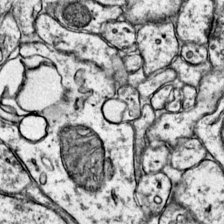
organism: Mouse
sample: Primary visual cortex